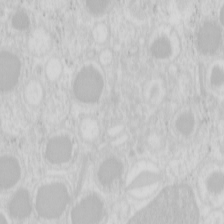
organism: Mouse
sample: Pancreas